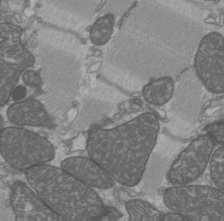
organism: C57BL Mouse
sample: Heart